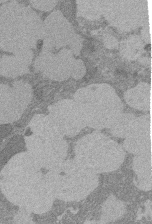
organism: Rat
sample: Salivary granule